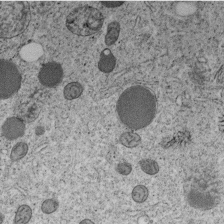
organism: C. elegans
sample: C. elegans embryo early stage